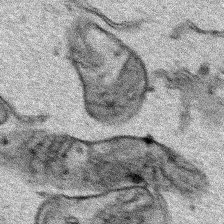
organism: Human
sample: Mitochondria in HCT116 cells